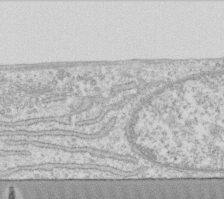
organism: Human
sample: Fibroblast cells